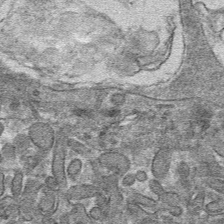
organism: Mouse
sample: Mouse hepatocytes